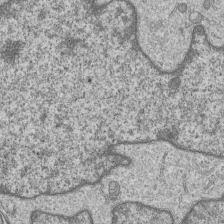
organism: Human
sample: MDA-MB-231 cells